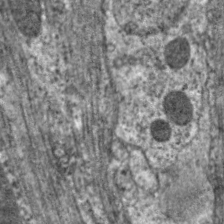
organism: C. elegans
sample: Pharynx